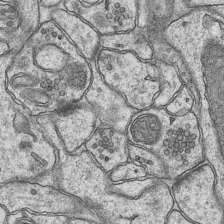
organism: Mouse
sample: CA1 Hippocampus